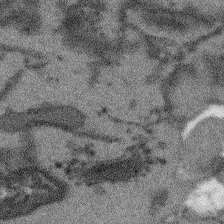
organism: Arabidopsis thaliana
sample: Root tip